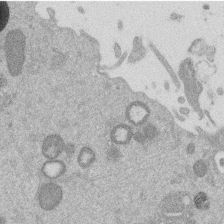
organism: Mouse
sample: Dividing mouse embryo 1 cell stage